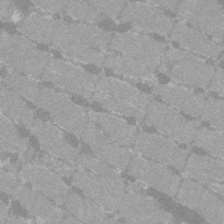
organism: C57BL Mouse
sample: Tibialis anterior muscle cell